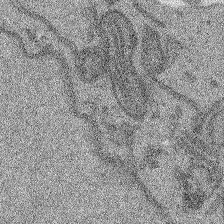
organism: Human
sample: HeLa cells